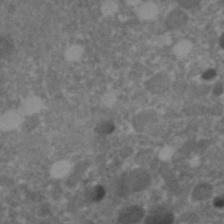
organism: C. elegans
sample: C. elegans embryo